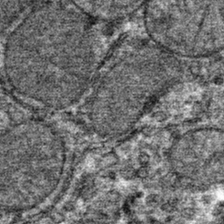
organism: Mouse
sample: Mouse hepatocytes